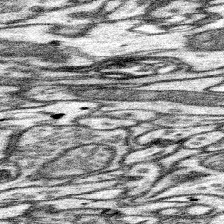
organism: Mouse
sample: Somatosensory cortex neuropil